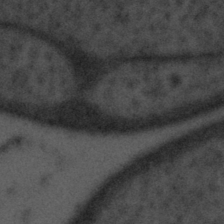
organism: Tuwongella immobilis